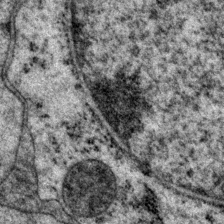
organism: P. pacificus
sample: Pharynx